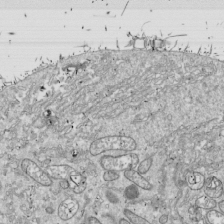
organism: Drosophila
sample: Cell division; meiosis; drosophila spermatocytes